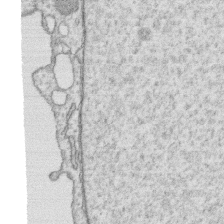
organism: Human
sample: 1205lu cells